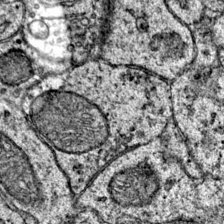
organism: Mouse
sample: Primary visual cortex